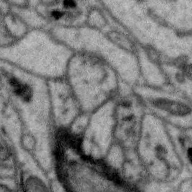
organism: Zebra finch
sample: Brain